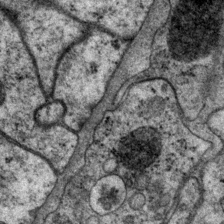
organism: P. pacificus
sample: Pharynx